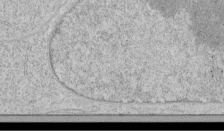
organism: Human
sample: Mitochondria in HCT116 cells